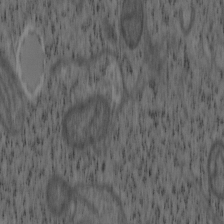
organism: Human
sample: HeLa cells